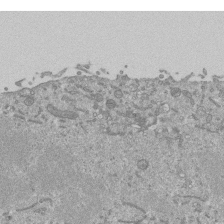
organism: Mouse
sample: ED-1 cell nuclei; centrioles